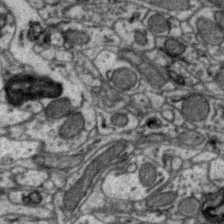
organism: Zebra finch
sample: Brain